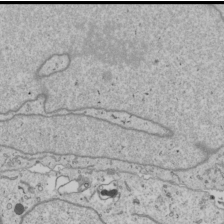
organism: Human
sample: Mitochondria in U2OS cells